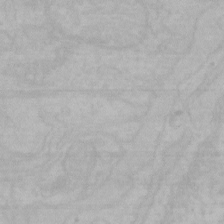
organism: Mouse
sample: Choroid plexus